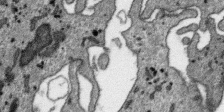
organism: Human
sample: Lung epithelial cells, uninfected (mock) control